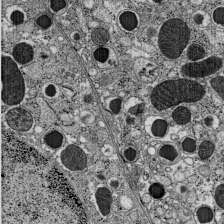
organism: C57BL Mouse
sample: Pancreatic islet